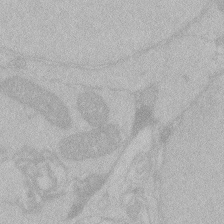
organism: Zebrafish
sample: Macrophage infected with Toxoplasma gondii